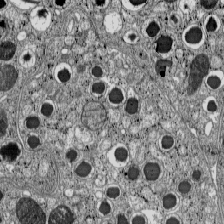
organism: C57BL Mouse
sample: Pancreatic islet